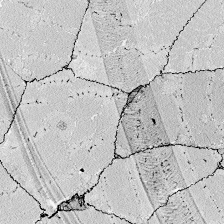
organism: Zebrafish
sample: Whole-Brain